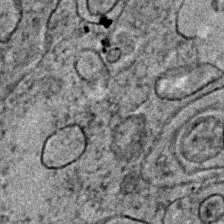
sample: Trachea